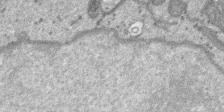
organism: Human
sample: Lung epithelial cells infected with SARS-CoV-2